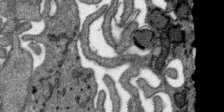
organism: Human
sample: Lung epithelial cells, uninfected (mock) control